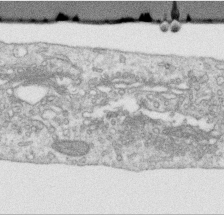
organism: Human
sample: Centriole in RPE cells